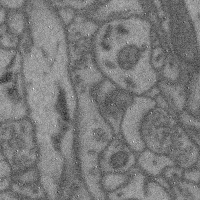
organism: Mouse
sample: Cerebral cortex